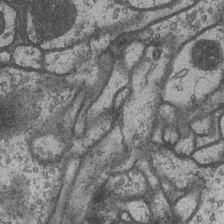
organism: Drosophila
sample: Optic medulla